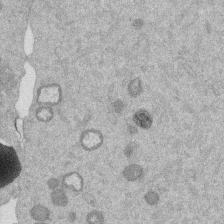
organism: Mouse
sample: Dividing mouse embryo 1 cell stage